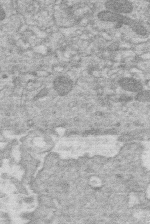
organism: Human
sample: Macrophage cells